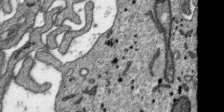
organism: Human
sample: Lung epithelial cells, uninfected (mock) control